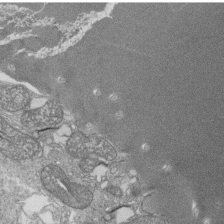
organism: Tetrahymena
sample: Cilia in tetrahymena